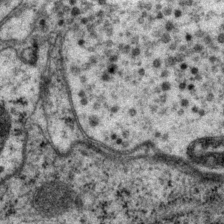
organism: P. pacificus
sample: Pharynx